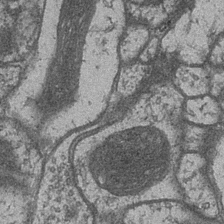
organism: Drosophila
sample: Optic medulla